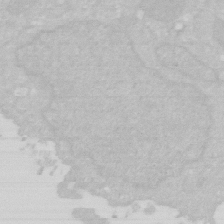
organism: Human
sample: HIV infected U937 cells